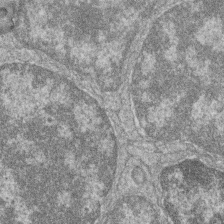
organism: Zebrafish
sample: Cilia; retinal pigment epithelium